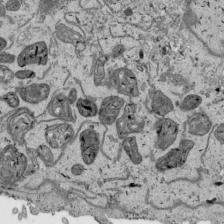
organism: Human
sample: Mitochondria in HCT116 cells